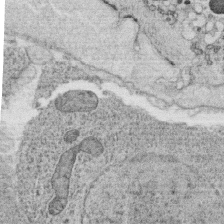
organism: C. elegans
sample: C. elegans oocyte; sperm cells